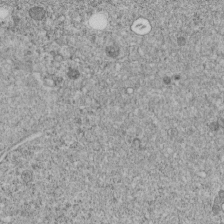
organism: C. elegans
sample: C. elegans embryo early stage